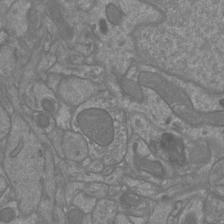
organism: Mouse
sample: Cortical neurons